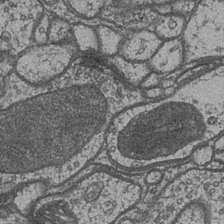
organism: Drosophila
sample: Optic medulla